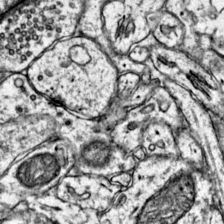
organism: Mouse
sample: Primary visual cortex